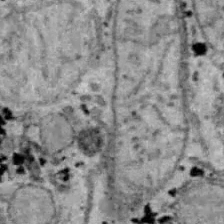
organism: Mouse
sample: Liver from an obese (ob/ob) mouse